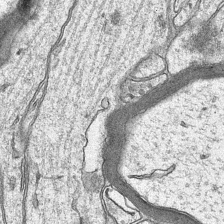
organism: Mouse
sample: CA1 Hippocampus